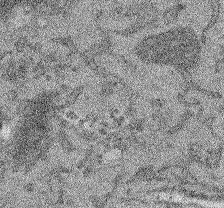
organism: Human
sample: HeLa cells